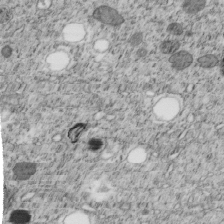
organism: C. elegans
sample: C. elegans embryo early stage